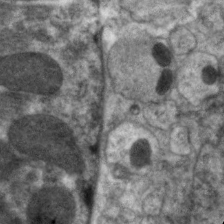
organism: C. elegans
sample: Pharynx